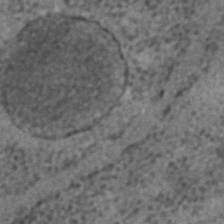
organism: C. elegans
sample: C. elegans embryo